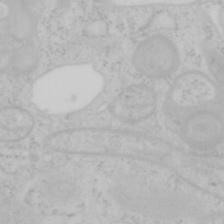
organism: Mouse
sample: OT-I killer T cells with ID8 ovarian cancer cells